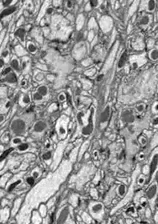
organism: Drosophila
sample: Optic lobe